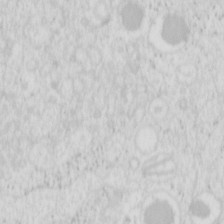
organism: Mouse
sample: Pancreas